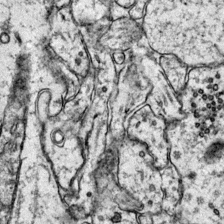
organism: Mouse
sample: Primary visual cortex